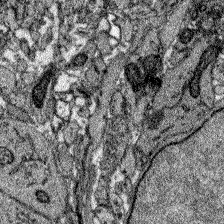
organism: Zebrafish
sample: Larval olfactory bulb